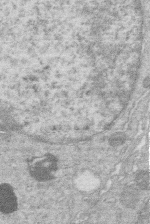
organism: Human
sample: Macrophage cells